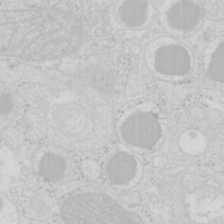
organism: Mouse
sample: Pancreas